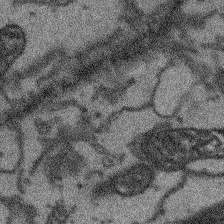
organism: Arabidopsis thaliana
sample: Root tip